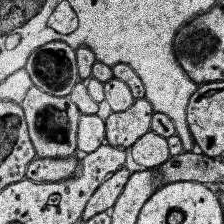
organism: Human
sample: Temporal Lobe